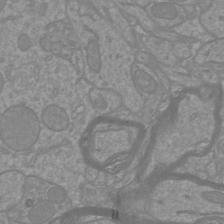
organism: Mouse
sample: Cortical neurons